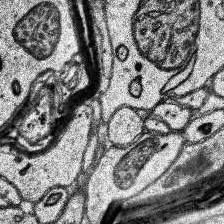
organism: Human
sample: Temporal Lobe